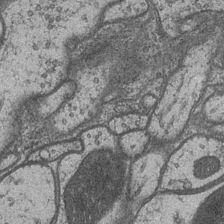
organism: Drosophila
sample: Optic medulla